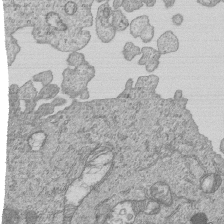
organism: Human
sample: MDA-MB-231 cells